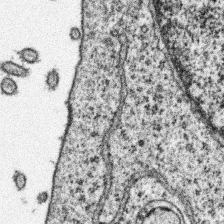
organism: Human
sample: HeLa cells